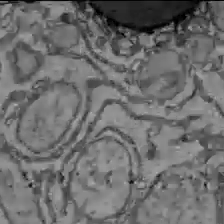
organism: C57BL Mouse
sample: Liver